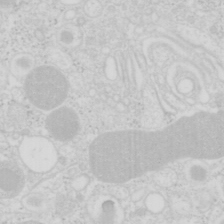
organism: Mouse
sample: Pancreas